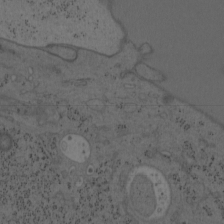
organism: Mouse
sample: OT-I killer T cells with ID8 ovarian cancer cells